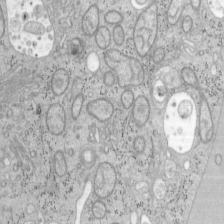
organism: Mouse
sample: OT-I killer T cells with ID8 ovarian cancer cells